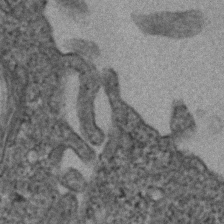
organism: Human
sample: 1205lu cells